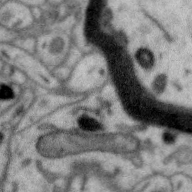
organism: Zebra finch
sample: Brain